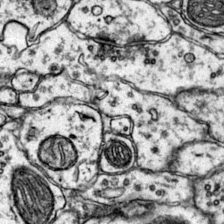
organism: Mouse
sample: Primary visual cortex